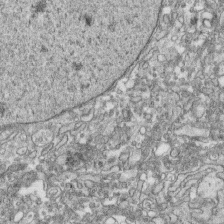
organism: Human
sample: CRL-1474